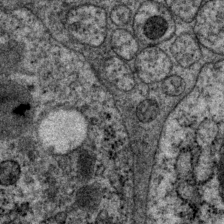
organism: P. pacificus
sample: Pharynx